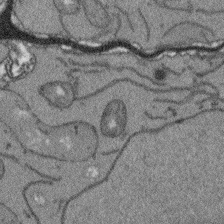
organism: Arabidopsis thaliana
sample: Root tip